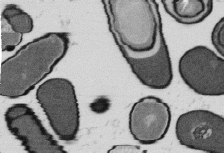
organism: B. subtilis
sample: Bacterial spore